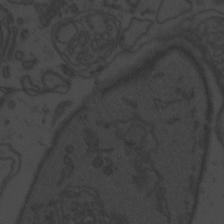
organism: Zebrafish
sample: Macrophage infected with Toxoplasma gondii